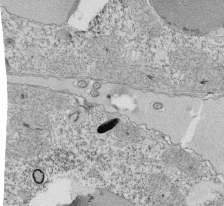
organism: Tetrahymena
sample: Cilia in tetrahymena